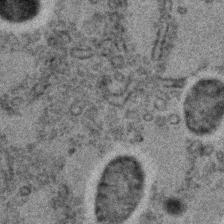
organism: C. elegans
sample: C. elegans embryo